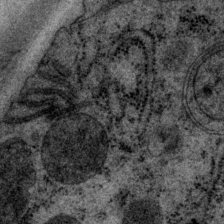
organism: P. pacificus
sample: Pharynx